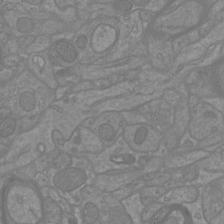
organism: Mouse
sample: Cortical neurons